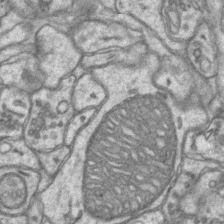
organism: Mouse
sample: CA1 Hippocampus